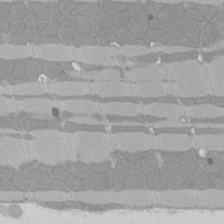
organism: Rat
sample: Left ventricle